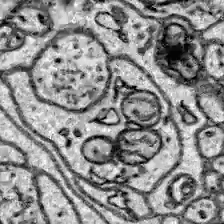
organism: Zebrafish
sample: Brain